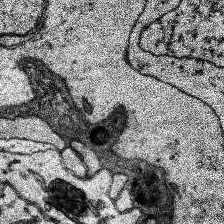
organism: Human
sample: Temporal Lobe